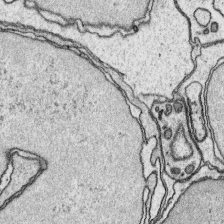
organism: Platynereis dumerilii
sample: Parapodia